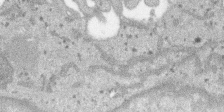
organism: Human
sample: Lung epithelial cells infected with SARS-CoV-2